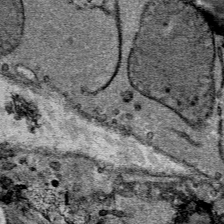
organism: Mouse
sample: Mouse Salivary gland